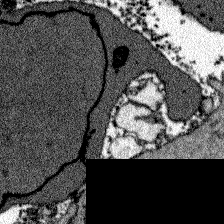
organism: Zebrafish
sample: Larval olfactory bulb